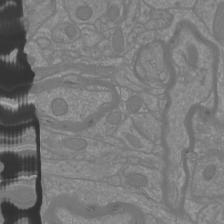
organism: Mouse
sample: Cortical neurons